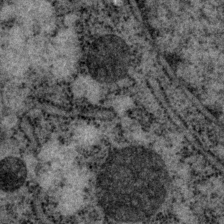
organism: P. pacificus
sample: Pharynx